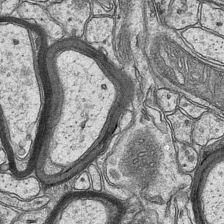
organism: Mouse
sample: CA1 Hippocampus